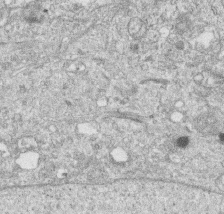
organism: Human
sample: HeLa cell HIV synapse